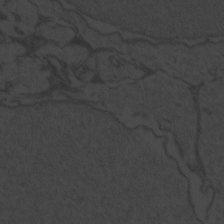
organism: Zebrafish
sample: Macrophage infected with Toxoplasma gondii